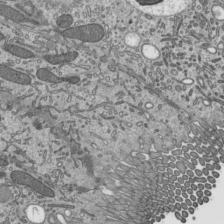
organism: Mouse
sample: Mouse epididymis efferent ductule cilia